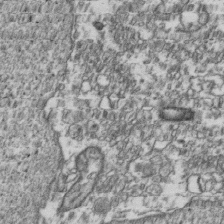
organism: Human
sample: Activated Jurkat CD4+ T cells